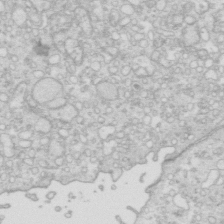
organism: Mouse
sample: Multiciliated cells